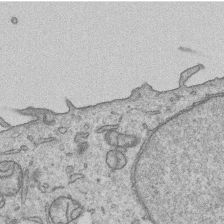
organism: Human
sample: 1205lu cells